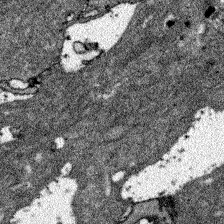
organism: Zebrafish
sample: Larval olfactory bulb